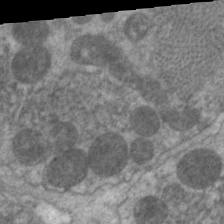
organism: C. elegans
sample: Pharynx